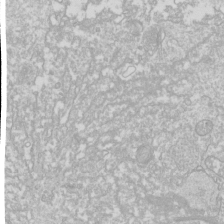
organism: Drosophila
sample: Cell division; meiosis; drosophila spermatocytes